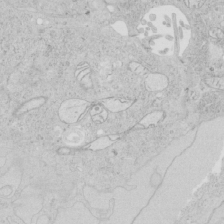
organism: Human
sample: Mitochondria in HCT116 cells